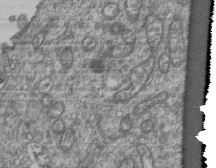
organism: Human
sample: Retinal organoid Rod and Cone cells